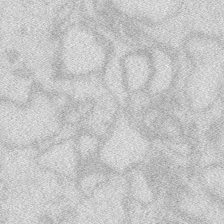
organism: Zebrafish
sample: Macrophage